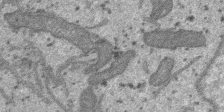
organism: Human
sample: Lung epithelial cells infected with SARS-CoV-2